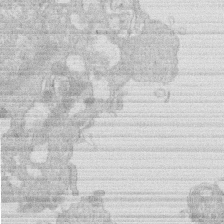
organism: Human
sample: Macrophage cells